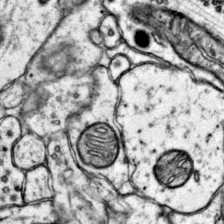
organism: Mouse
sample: Primary visual cortex